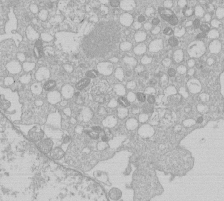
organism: Human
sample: Macrophage cells